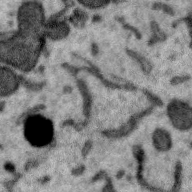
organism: Zebra finch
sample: Brain